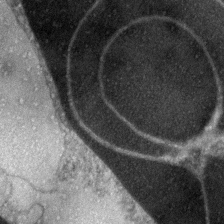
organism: Zebrafish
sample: Zebrafish embryo